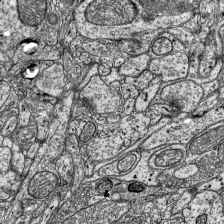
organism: Mouse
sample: Visual Cortex